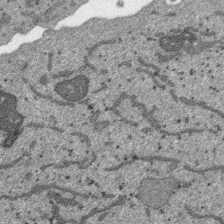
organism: Human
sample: Lung epithelial cells infected with SARS-CoV-2